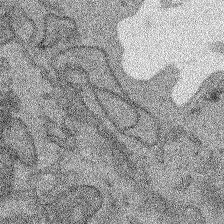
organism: Human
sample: HeLa cells